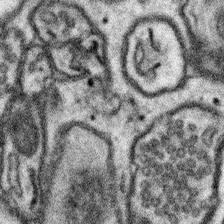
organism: Mouse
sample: Somatosensory cortex neuropil